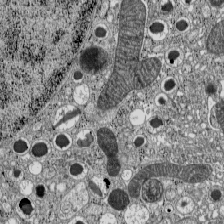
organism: C57BL Mouse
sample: Pancreatic islet